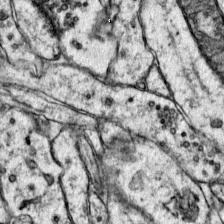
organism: Mouse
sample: Primary visual cortex